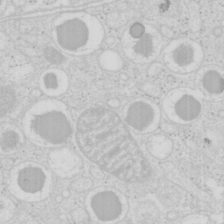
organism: Mouse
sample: Pancreas